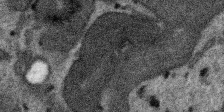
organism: Human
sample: Lung epithelial cells infected with SARS-CoV-2